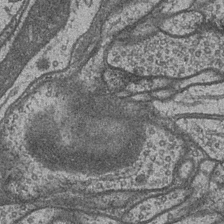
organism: Drosophila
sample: Optic medulla